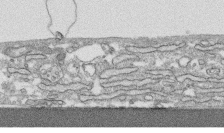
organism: Human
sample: CRL-1474